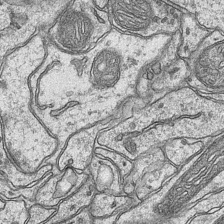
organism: Mouse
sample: CA1 Hippocampus